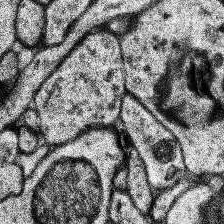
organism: Human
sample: Temporal Lobe